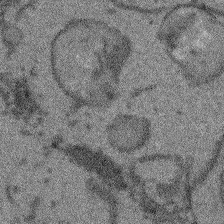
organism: Arabidopsis thaliana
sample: Root tip